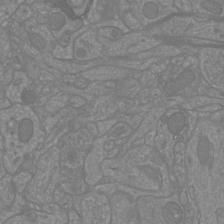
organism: Mouse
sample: Cortical neurons